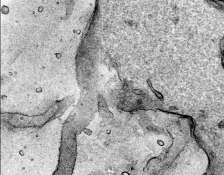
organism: Human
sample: Mitochondria in HCT116 cells